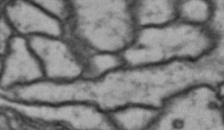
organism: Drosophila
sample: Brain